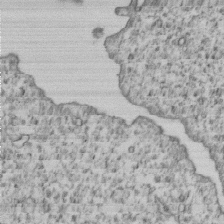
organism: Human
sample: MDA-MB-231 cells